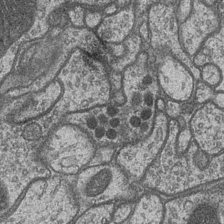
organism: Drosophila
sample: Optic medulla